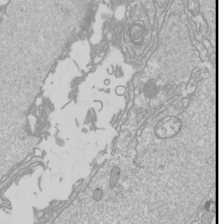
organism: Drosophila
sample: Cell division; meiosis; drosophila spermatocytes